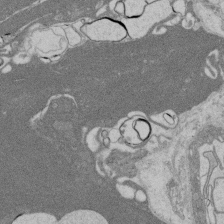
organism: Rat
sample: Salivary granule